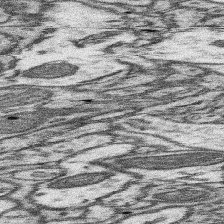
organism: Mouse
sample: Somatosensory cortex neuropil